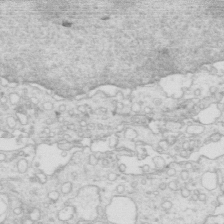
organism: Mouse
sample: Multiciliated cells